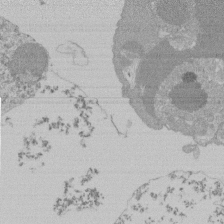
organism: Mouse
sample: Activated Pmel transgenic CD8+ T Cells